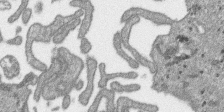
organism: Human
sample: Lung epithelial cells infected with SARS-CoV-2